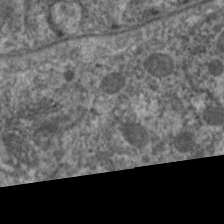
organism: C. elegans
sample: Pharynx